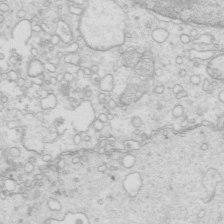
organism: Mouse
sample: Multiciliated cells